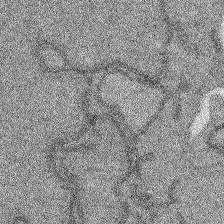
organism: Human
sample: HeLa cells